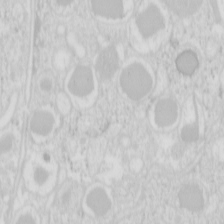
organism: Mouse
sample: Pancreas